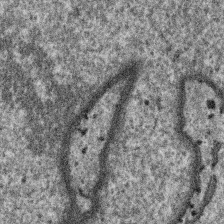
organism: Human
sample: Lung epithelial cells infected with SARS-CoV-2